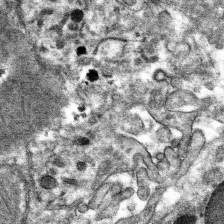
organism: Mouse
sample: Mouse hepatocytes